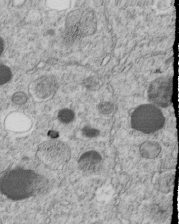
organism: C. elegans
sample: C. elegans embryo early stage